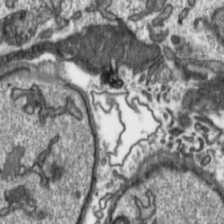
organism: Toxoplasma gondii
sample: Parasites in a vacuole inside a host cell